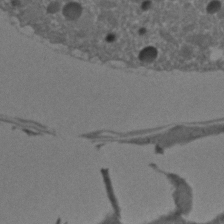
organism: C. elegans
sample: C. elegans embryo